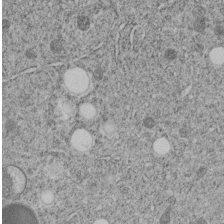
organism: C. elegans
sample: C. elegans embryo early stage